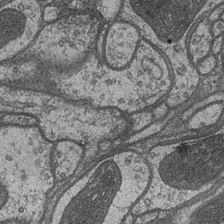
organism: Drosophila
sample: Optic medulla